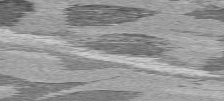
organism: C57BL Mouse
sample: Heart